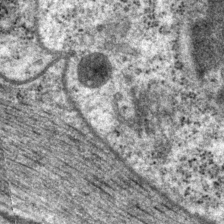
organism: P. pacificus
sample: Pharynx